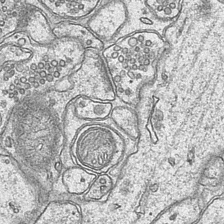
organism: Mouse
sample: CA1 Hippocampus